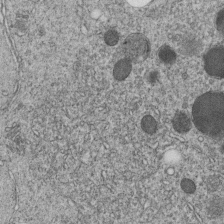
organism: C. elegans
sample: C. elegans embryo early stage